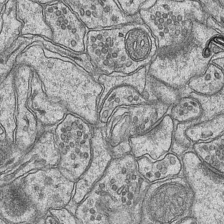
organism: Mouse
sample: CA1 Hippocampus